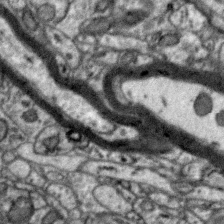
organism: Zebra finch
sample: Brain